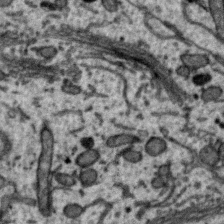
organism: Zebra finch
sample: Brain